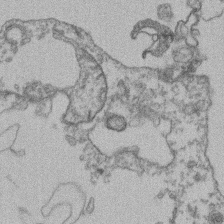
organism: Mouse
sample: T cell stromal cell synapse